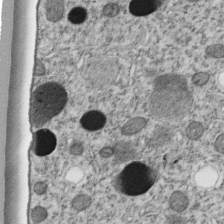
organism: C. elegans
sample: C. elegans embryo early stage